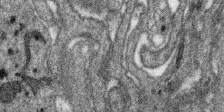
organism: Human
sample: Lung epithelial cells infected with SARS-CoV-2